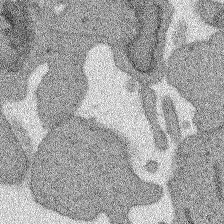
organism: Human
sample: HeLa cells